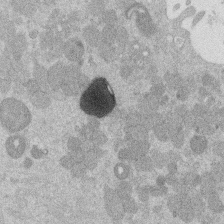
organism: Mouse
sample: Dividing mouse embryo 1 cell stage